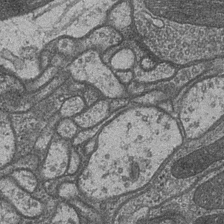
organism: Drosophila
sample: Optic medulla